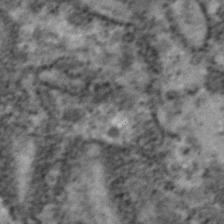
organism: Zebrafish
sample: Zebrafish embryo